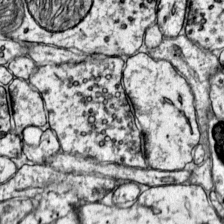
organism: Mouse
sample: Primary visual cortex